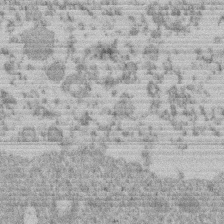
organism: Mouse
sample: Dividing mouse embryo 1 cell stage